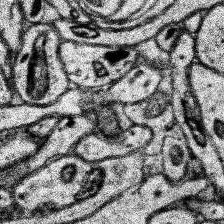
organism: Human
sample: Temporal Lobe